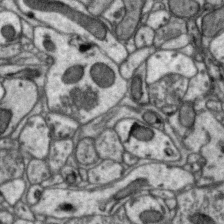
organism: Zebra finch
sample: Brain